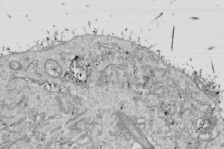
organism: Drosophila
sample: Cell division; meiosis; drosophila spermatocytes